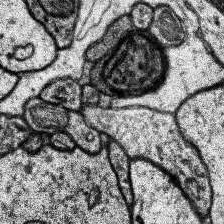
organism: Human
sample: Temporal Lobe